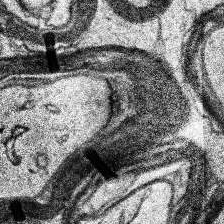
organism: Human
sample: Temporal Lobe